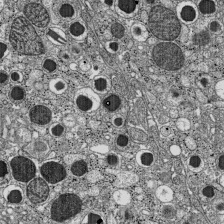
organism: C57BL Mouse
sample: Pancreatic islet